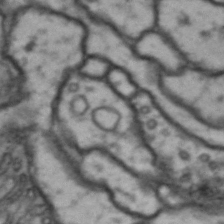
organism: Drosophila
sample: Brain